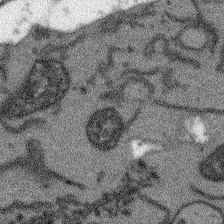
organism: Arabidopsis thaliana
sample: Root tip